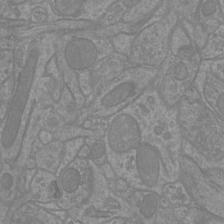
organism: Mouse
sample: Cortical neurons